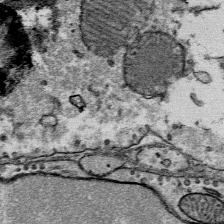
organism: Mouse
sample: Mouse Salivary gland